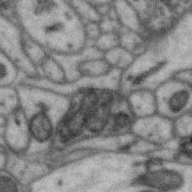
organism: Zebra finch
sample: Brain